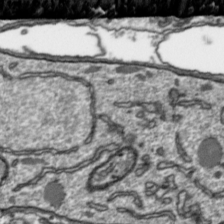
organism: Toxoplasma gondii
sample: Parasites in a vacuole inside a host cell